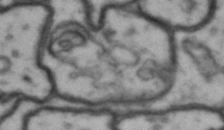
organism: Drosophila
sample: Brain